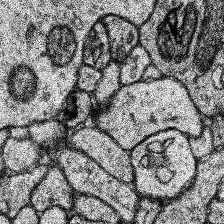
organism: Human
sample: Temporal Lobe